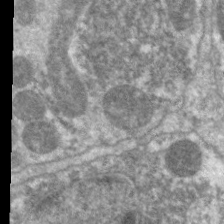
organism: C. elegans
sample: Pharynx